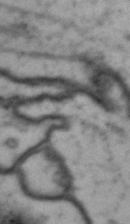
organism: Drosophila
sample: Brain